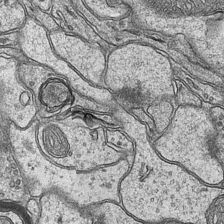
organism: Mouse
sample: CA1 Hippocampus